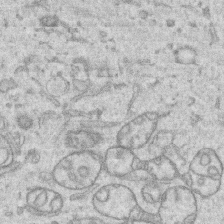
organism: Human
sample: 1205lu cells